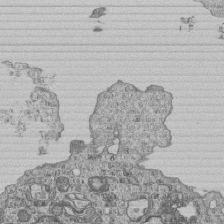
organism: Human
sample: MDA-MB-231 cells